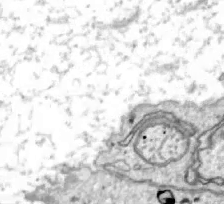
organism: Zebrafish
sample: Actinotrichia fibers